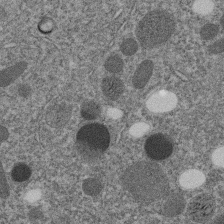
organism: C. elegans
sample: C. elegans embryo early stage